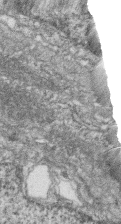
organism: Zebrafish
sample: Cilia; retinal pigment epithelium